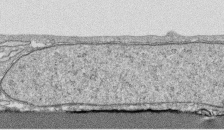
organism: Human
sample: CRL-1474